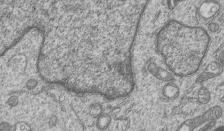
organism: Human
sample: MDA-MB-231 cells